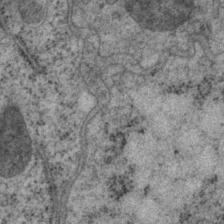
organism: P. pacificus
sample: Pharynx